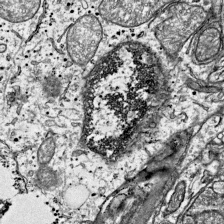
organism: Mouse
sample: Visual Cortex